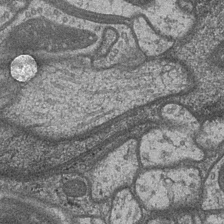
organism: Drosophila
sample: Optic medulla